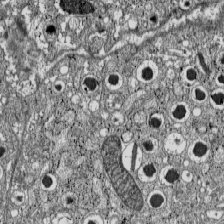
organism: C57BL Mouse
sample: Pancreatic islet